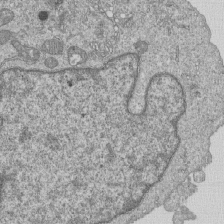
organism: Human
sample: MDA-MB-231 cells